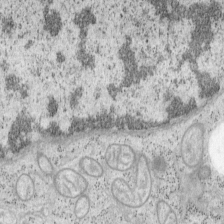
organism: Mouse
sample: OT-I killer T cells with ID8 ovarian cancer cells